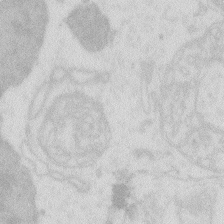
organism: Zebrafish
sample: Macrophage